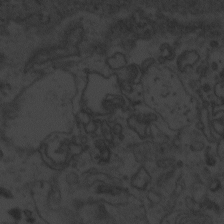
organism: Zebrafish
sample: Macrophage infected with Toxoplasma gondii